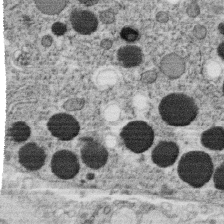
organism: C. elegans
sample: C. elegans oocyte; sperm cells